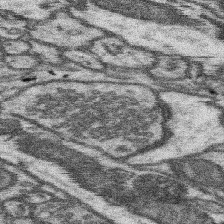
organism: Mouse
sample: Somatosensory cortex neuropil